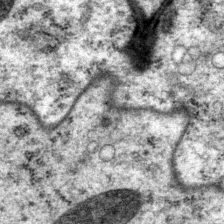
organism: P. pacificus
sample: Pharynx